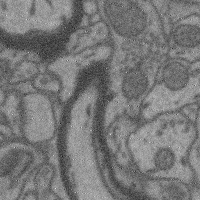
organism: Mouse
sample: Cerebral cortex